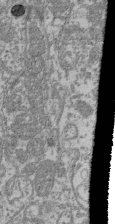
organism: Mouse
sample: Glomerulus